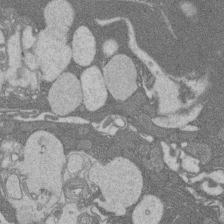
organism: Rat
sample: Salivary granule